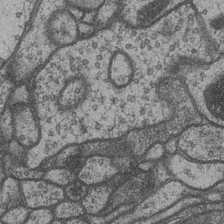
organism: Drosophila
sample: Optic medulla